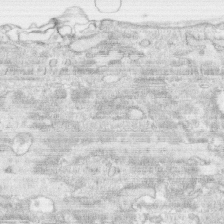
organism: Human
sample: CRL-1474